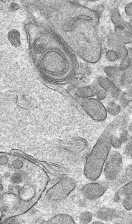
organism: Mouse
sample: Mouse hepatocytes